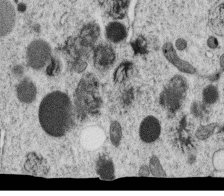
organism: C. elegans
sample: C. elegans oocyte; sperm cells